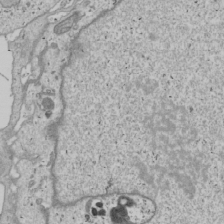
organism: Human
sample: Mitochondria in U2OS cells